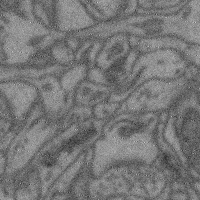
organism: Mouse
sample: Cerebral cortex